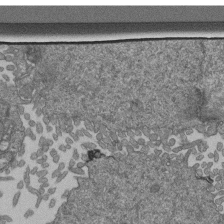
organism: Human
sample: Retinal organoid Rod and Cone cells